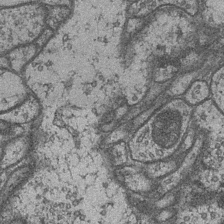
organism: Drosophila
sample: Optic medulla